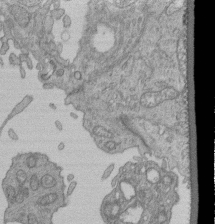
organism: Human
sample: Retinal organoid Rod and Cone cells